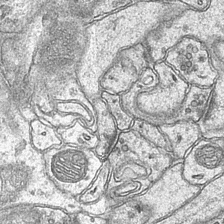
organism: Mouse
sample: CA1 Hippocampus